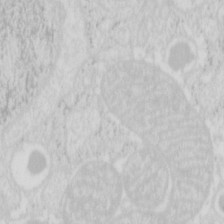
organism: Mouse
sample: Pancreas